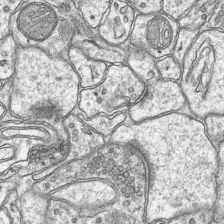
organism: Mouse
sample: CA1 Hippocampus